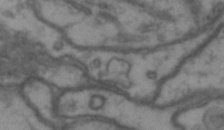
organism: Drosophila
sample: Brain